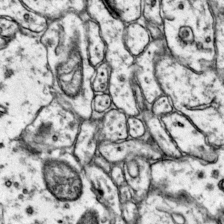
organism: Mouse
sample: Primary visual cortex